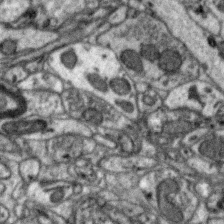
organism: Zebra finch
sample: Brain